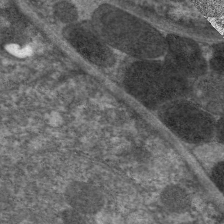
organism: C. elegans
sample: Pharynx